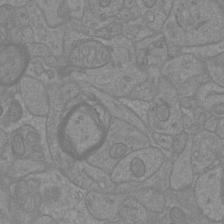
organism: Mouse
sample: Cortical neurons